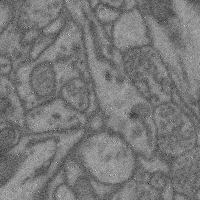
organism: Mouse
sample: Cerebral cortex